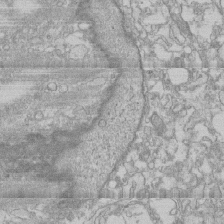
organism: Human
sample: CRL-1474